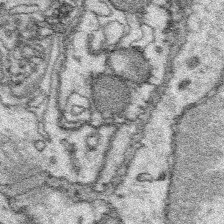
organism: Platynereis dumerilii